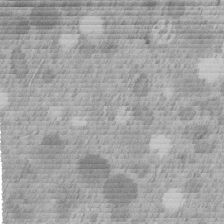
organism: C. elegans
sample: C. elegans embryo early stage